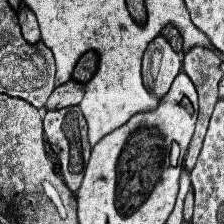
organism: Human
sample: Temporal Lobe